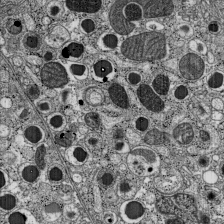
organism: C57BL Mouse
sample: Pancreatic islet